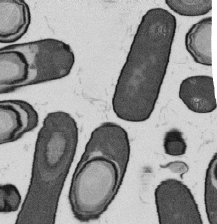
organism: B. subtilis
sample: Bacterial spore